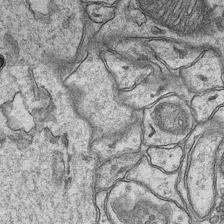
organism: Mouse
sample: CA1 Hippocampus